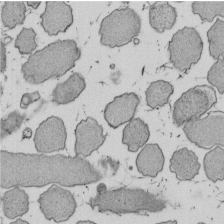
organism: E. coli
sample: Bacterial nucleoid